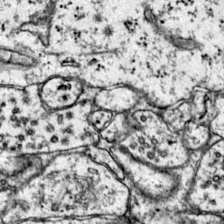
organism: Mouse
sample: Primary visual cortex